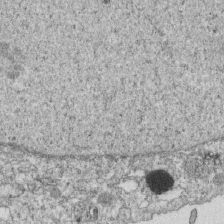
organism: Human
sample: HeLa cell HIV synapse